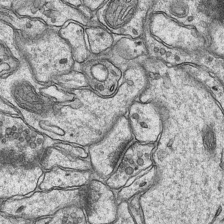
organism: Mouse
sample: CA1 Hippocampus